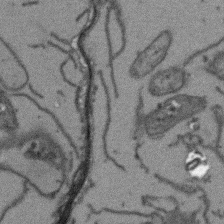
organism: Arabidopsis thaliana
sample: Root tip